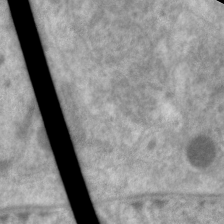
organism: C. elegans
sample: Pharynx